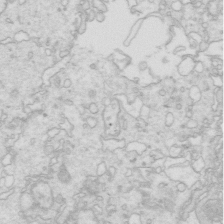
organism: Mouse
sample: Multiciliated cells